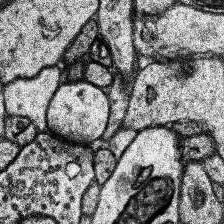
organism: Human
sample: Temporal Lobe